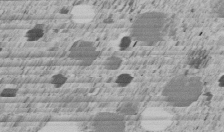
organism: C. elegans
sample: C. elegans embryo early stage